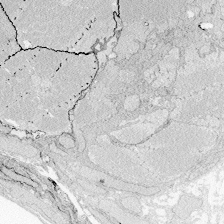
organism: Zebrafish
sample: Whole-Brain